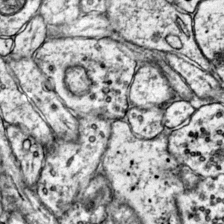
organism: Mouse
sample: Primary visual cortex